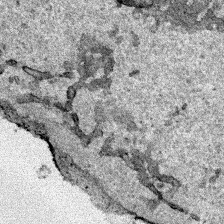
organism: Human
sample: Mitochondria in HCT116 cells